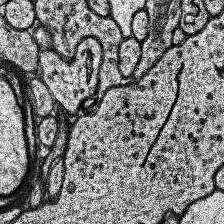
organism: Human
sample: Temporal Lobe